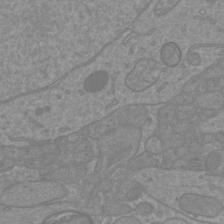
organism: Mouse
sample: Cortical neurons